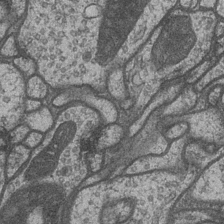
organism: Drosophila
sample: Optic medulla